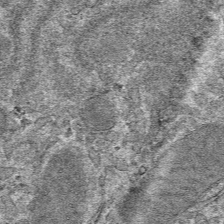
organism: Mouse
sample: Mouse hepatocytes